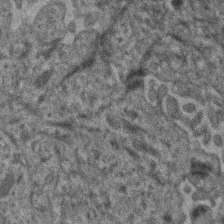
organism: Human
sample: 1205lu cells